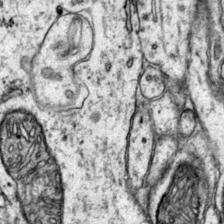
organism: Mouse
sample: Primary visual cortex